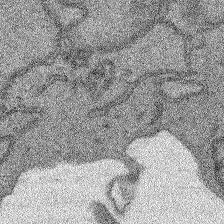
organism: Human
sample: HeLa cells